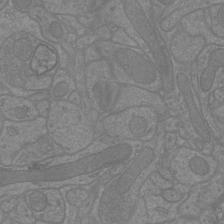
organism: Mouse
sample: Cortical neurons